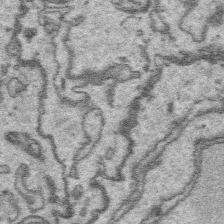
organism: Platynereis dumerilii